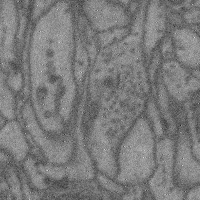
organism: Mouse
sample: Cerebral cortex